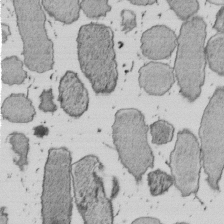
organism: E. coli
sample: Bacterial nucleoid